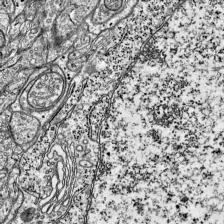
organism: Mouse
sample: Visual Cortex